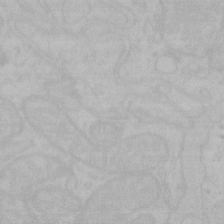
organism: Mouse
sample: Choroid plexus